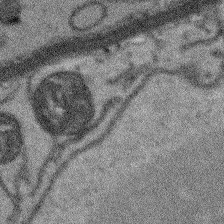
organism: Arabidopsis thaliana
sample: Root tip